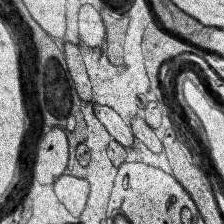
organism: Human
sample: Temporal Lobe